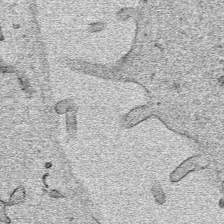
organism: Human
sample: Mitochondria in HCT116 cells